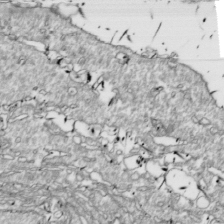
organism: Drosophila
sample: Cell division; meiosis; drosophila spermatocytes